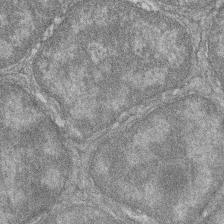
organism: Zebrafish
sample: Cilia; retinal pigment epithelium